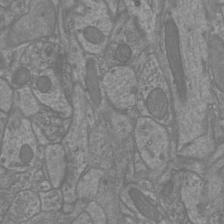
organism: Mouse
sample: Cortical neurons